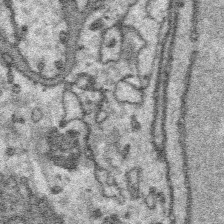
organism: Platynereis dumerilii